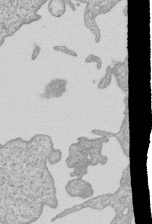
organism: Human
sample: MDA-MB-231 cells